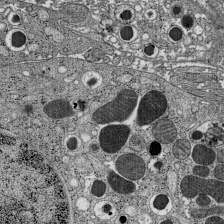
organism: C57BL Mouse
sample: Pancreatic islet